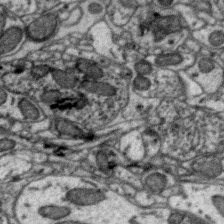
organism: Zebra finch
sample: Brain